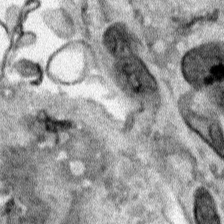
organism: Human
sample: Mitochondria in HCT116 cells